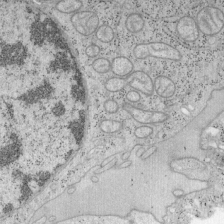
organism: Mouse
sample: OT-I killer T cells with ID8 ovarian cancer cells